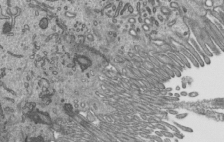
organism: Mouse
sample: Mouse epididymis efferent ductule cilia